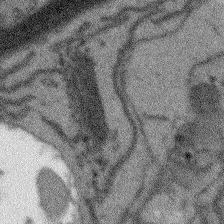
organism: Arabidopsis thaliana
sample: Root tip